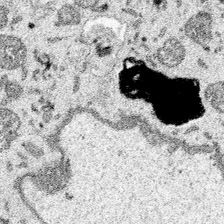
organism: Spongilla lacustris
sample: Multiple